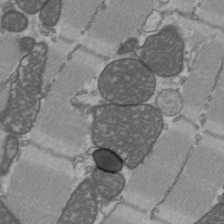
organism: C57BL Mouse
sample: Heart